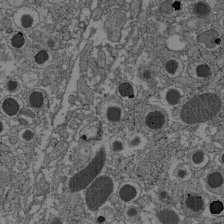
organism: C57BL Mouse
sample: Pancreatic islet